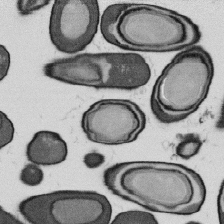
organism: B. subtilis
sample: Bacterial spore